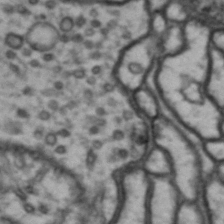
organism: Drosophila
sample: Brain